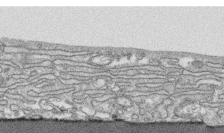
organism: Human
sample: CRL-1474